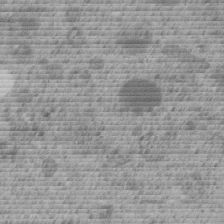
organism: C. elegans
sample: C. elegans embryo early stage